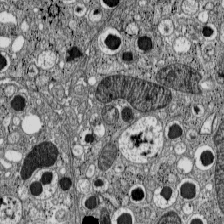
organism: C57BL Mouse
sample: Pancreatic islet